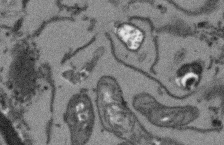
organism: Arabidopsis thaliana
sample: Root tip